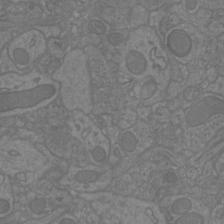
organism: Mouse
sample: Cortical neurons